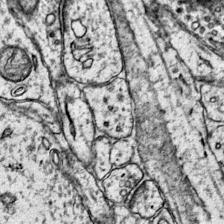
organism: Mouse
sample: Primary visual cortex